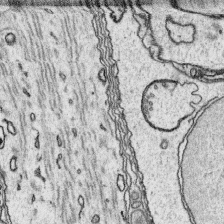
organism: Platynereis dumerilii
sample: Parapodia